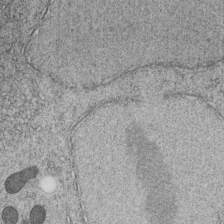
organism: C. elegans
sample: C. elegans embryo early stage